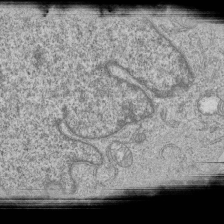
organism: Human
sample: MDA-MB-231 cells